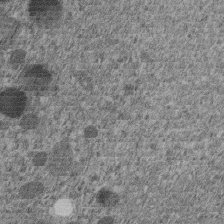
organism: C. elegans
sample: C. elegans embryo early stage